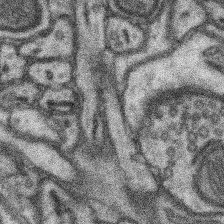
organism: Mouse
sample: Somatosensory cortex neuropil